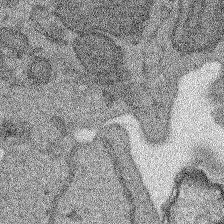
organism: Human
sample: HeLa cells